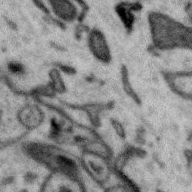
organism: Zebra finch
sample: Brain